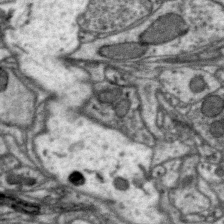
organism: Zebra finch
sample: Brain